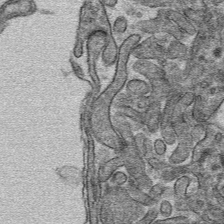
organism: Mouse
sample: Mouse hepatocytes